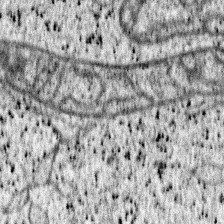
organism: Human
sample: HeLa cells